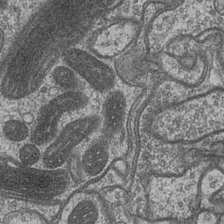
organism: Drosophila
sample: Optic medulla